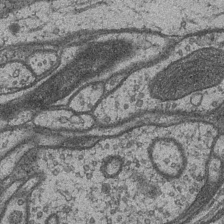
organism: Drosophila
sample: Optic medulla